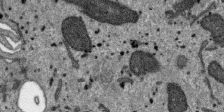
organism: Human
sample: Lung epithelial cells, uninfected (mock) control